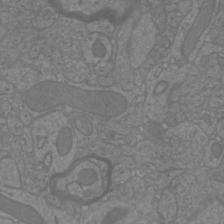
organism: Mouse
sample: Cortical neurons